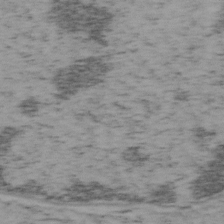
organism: Mouse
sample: OT-I killer T cells with ID8 ovarian cancer cells